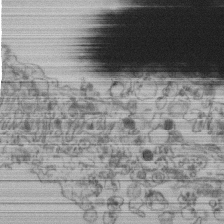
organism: Human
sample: Retinal organoid Rod and Cone cells